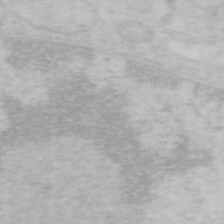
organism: Mouse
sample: OT-I killer T cells with ID8 ovarian cancer cells